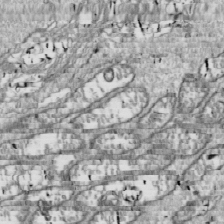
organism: Drosophila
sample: Cell division; meiosis; drosophila spermatocytes